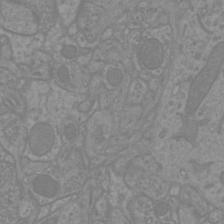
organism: Mouse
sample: Cortical neurons